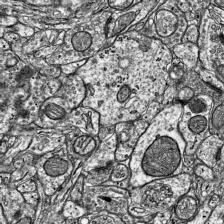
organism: Mouse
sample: Visual Cortex